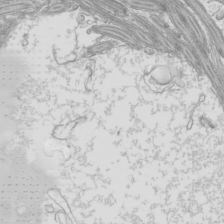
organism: Mouse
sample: Cilia; mouse epididymis